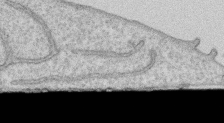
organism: Human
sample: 1205lu cells